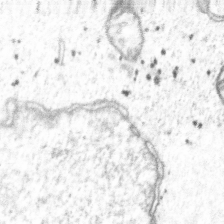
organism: Human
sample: HeLa cells